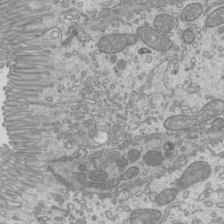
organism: Mouse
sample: Cilia; mouse epididymis